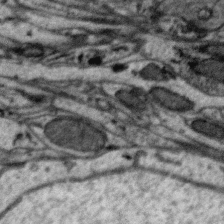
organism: Zebra finch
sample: Brain